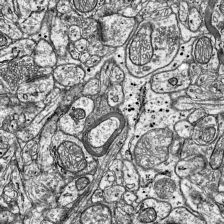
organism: Mouse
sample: Visual Cortex